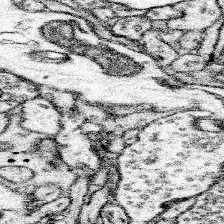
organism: Mouse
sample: Somatosensory cortex neuropil